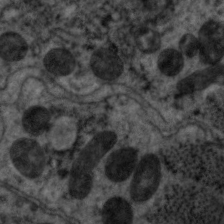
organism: C. elegans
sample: Pharynx